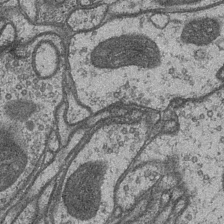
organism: Drosophila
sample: Optic medulla